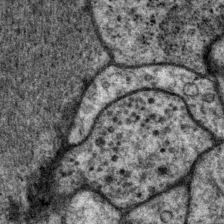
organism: P. pacificus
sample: Pharynx